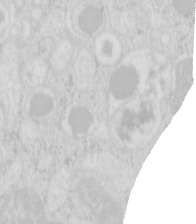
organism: Mouse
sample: Pancreas